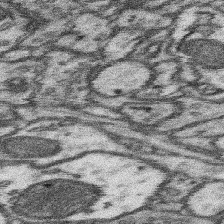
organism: Mouse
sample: Somatosensory cortex neuropil